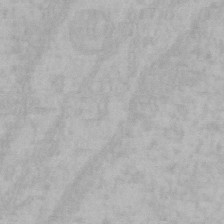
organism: Mouse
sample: Choroid plexus